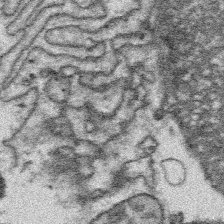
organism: Platynereis dumerilii